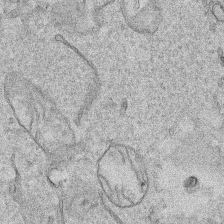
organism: Human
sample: Mitochondria in HCT116 cells